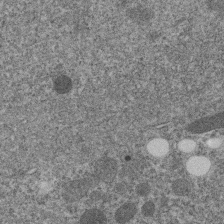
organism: C. elegans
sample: C. elegans embryo early stage